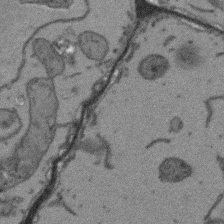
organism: Arabidopsis thaliana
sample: Root tip